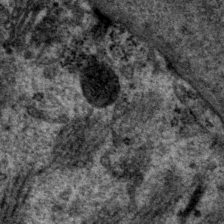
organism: P. pacificus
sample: Pharynx